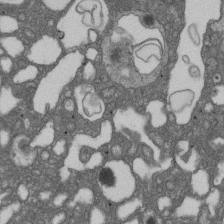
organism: Drosophila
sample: Nephrocyte